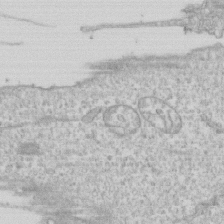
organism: Human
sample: CRL-1474